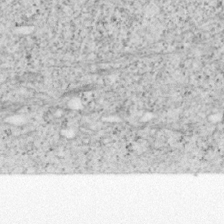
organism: Mouse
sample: OT-I killer T cells with ID8 ovarian cancer cells